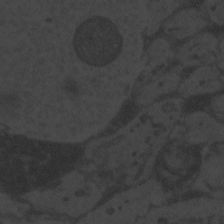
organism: Zebrafish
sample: Macrophage infected with Toxoplasma gondii